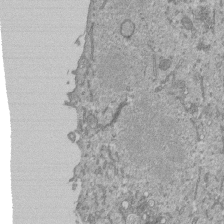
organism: Mouse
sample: ED-1 cell nuclei; centrioles